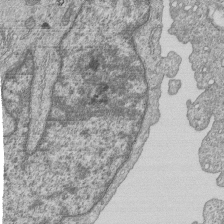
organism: Human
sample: MDA-MB-231 cells